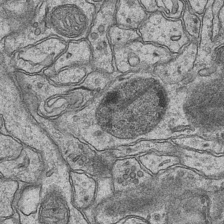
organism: Mouse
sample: CA1 Hippocampus